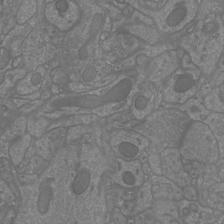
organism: Mouse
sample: Cortical neurons